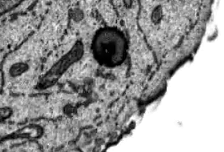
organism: Human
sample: HeLa cells